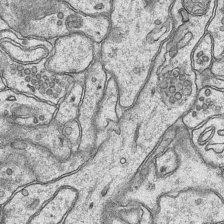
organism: Mouse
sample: CA1 Hippocampus